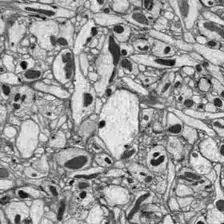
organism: Drosophila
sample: Optic lobe